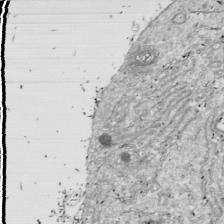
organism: Drosophila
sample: Cell division; meiosis; drosophila spermatocytes